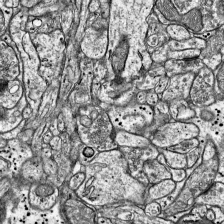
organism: Mouse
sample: Visual Cortex